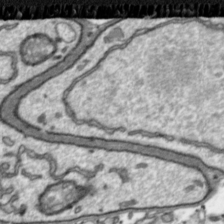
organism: Toxoplasma gondii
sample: Parasites in a vacuole inside a host cell